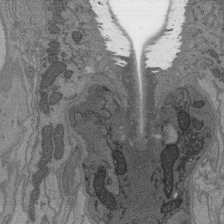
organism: C. elegans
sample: AFD neurons C. elegans